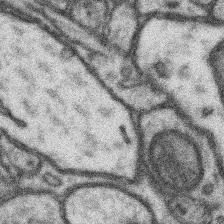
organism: Mouse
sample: Somatosensory cortex neuropil